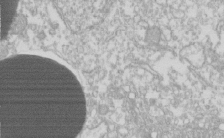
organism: Xenopus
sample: Cilia; centrioles in frog embryo cells